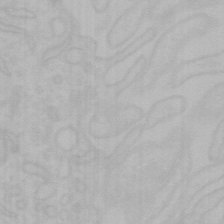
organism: Mouse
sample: Choroid plexus